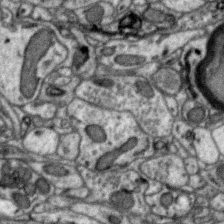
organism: Zebra finch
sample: Brain